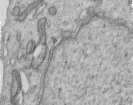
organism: Human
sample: Centriole in RPE cells